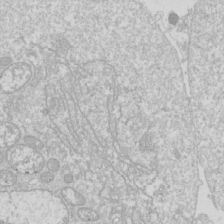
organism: Drosophila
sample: Cell division; meiosis; drosophila spermatocytes